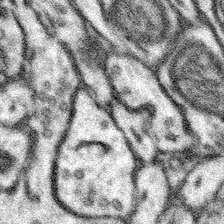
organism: Mouse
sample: Somatosensory cortex neuropil